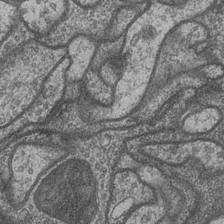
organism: Drosophila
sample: Optic medulla